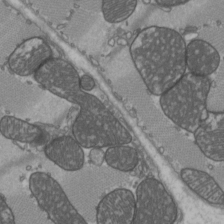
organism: C57BL Mouse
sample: Heart